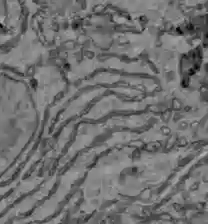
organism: C57BL Mouse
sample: Liver